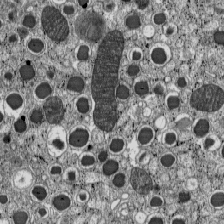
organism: C57BL Mouse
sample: Pancreatic islet